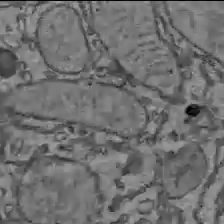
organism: C57BL Mouse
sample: Liver